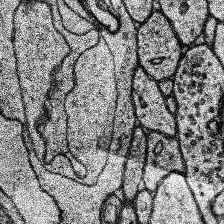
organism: Human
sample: Temporal Lobe